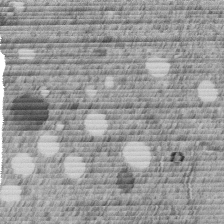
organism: C. elegans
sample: C. elegans embryo early stage